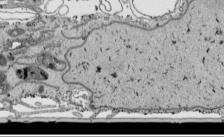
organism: Human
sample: Mitochondria in HCT116 cells